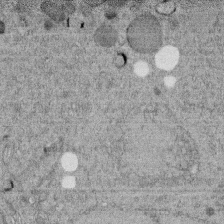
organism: C. elegans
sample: C. elegans embryo early stage